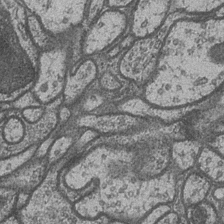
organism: Drosophila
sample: Optic medulla